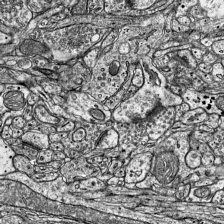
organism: Mouse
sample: Visual Cortex